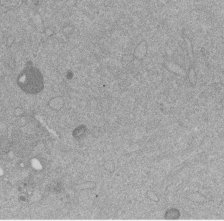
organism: Mouse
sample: Dividing mouse embryo 1 cell stage